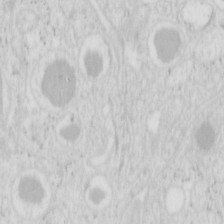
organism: Mouse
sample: Pancreas